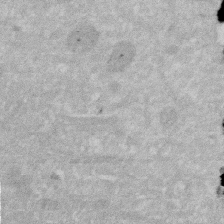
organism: Human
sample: HIV infected U937 cells